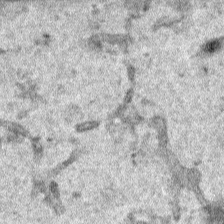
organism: Human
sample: Mitochondria in HCT116 cells